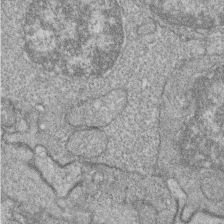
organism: Zebrafish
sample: Cilia; retinal pigment epithelium